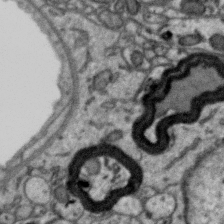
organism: Zebra finch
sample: Brain